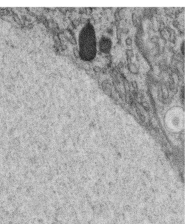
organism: C. elegans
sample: C. elegans oocyte; sperm cells